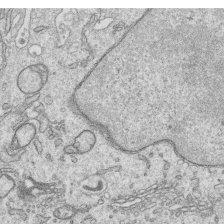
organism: Human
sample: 1205lu cells